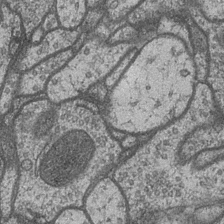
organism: Drosophila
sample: Optic medulla